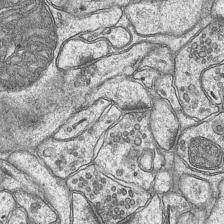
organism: Mouse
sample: CA1 Hippocampus